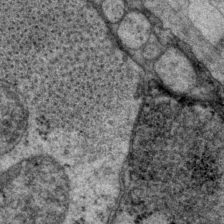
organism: P. pacificus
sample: Pharynx